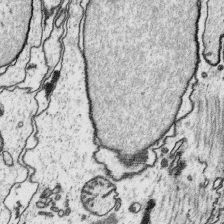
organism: Platynereis dumerilii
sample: Parapodia